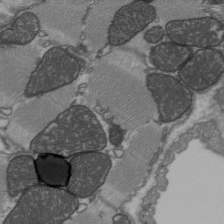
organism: C57BL Mouse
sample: Heart